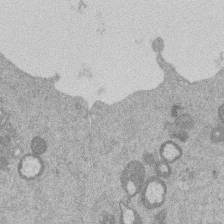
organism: Mouse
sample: Dividing mouse embryo 1 cell stage